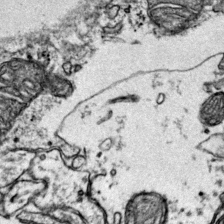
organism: Mouse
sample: Primary visual cortex